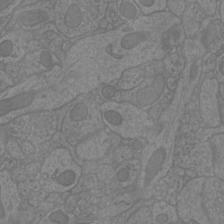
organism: Mouse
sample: Cortical neurons